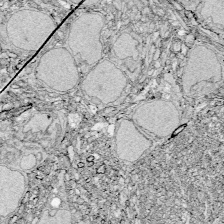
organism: Zebrafish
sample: Whole-Brain